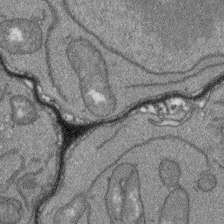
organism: Arabidopsis thaliana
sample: Root tip